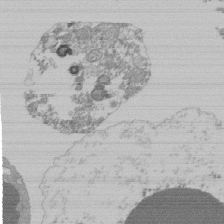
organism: Mouse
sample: Activated Pmel transgenic CD8+ T Cells